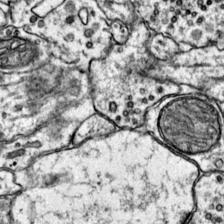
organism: Mouse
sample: Primary visual cortex